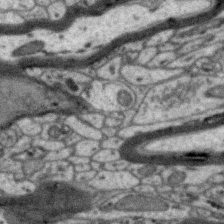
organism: Zebra finch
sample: Brain